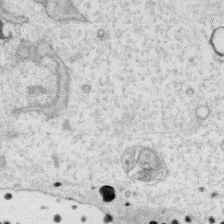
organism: Human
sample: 1205lu cells